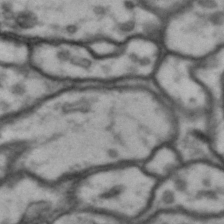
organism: Drosophila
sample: Brain